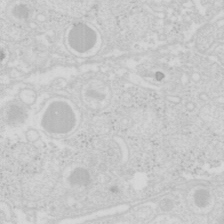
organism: Mouse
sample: Pancreas